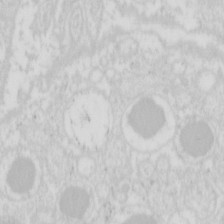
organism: Mouse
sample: Pancreas